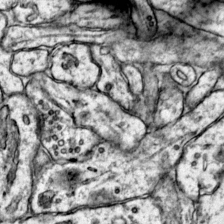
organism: Mouse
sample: Primary visual cortex